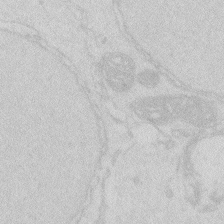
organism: Zebrafish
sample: Macrophage